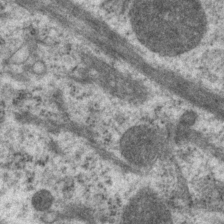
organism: P. pacificus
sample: Pharynx